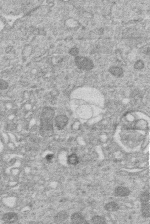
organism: Human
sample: Macrophage cells